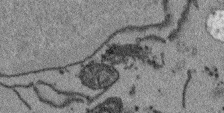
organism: Arabidopsis thaliana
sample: Root tip